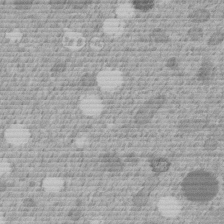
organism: C. elegans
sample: C. elegans embryo early stage